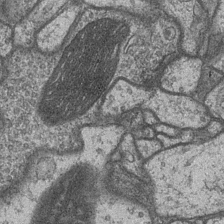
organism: Drosophila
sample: Optic medulla